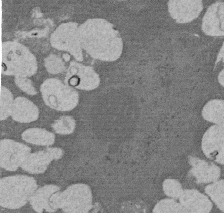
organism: Rat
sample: Salivary granule